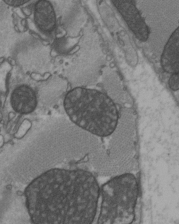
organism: C57BL Mouse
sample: Heart